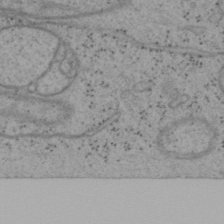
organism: Human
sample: HeLa cells